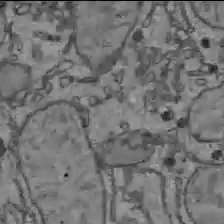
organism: C57BL Mouse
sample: Liver